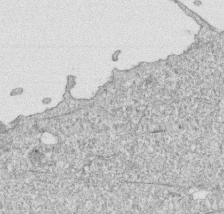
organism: Human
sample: HeLa cell HIV synapse